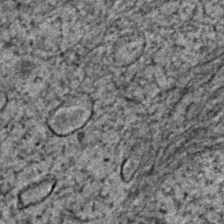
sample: Trachea